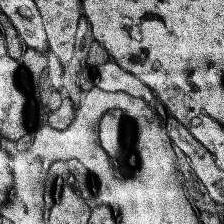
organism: Human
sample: Temporal Lobe